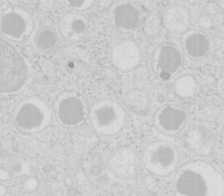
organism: Mouse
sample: Pancreas